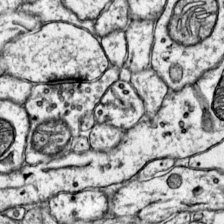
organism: Mouse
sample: Primary visual cortex